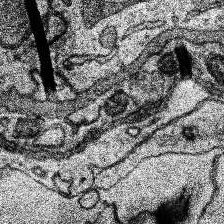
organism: Human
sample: Temporal Lobe